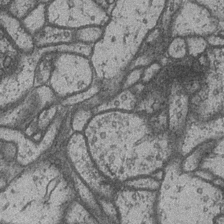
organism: Drosophila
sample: Optic medulla